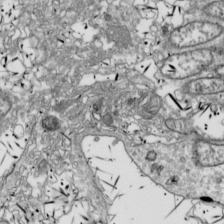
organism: Drosophila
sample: Cell division; meiosis; drosophila spermatocytes